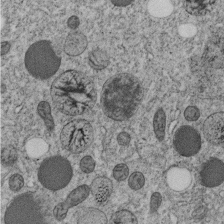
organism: C. elegans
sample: C. elegans embryo early stage